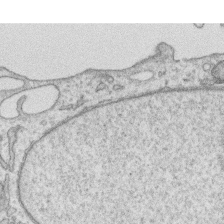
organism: Human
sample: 1205lu cells